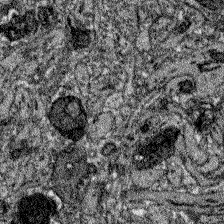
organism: Zebrafish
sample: Larval olfactory bulb